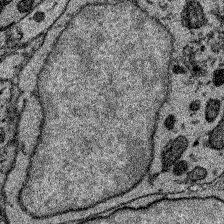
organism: Zebrafish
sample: Larval olfactory bulb